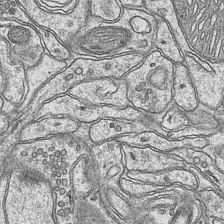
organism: Mouse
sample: CA1 Hippocampus